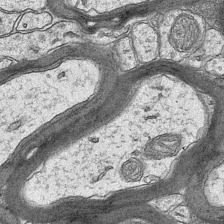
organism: Mouse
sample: CA1 Hippocampus